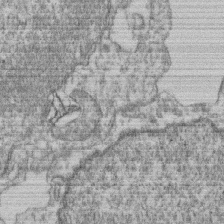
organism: Mouse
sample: T cell stromal cell synapse